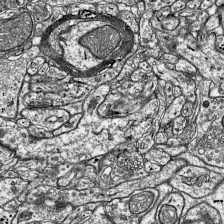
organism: Mouse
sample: Visual Cortex